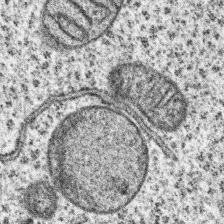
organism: Human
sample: HeLa cells